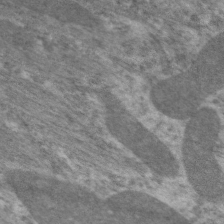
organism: C. elegans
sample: Pharynx